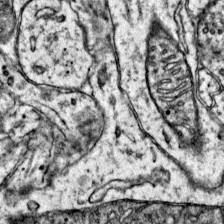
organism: Mouse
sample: Primary visual cortex